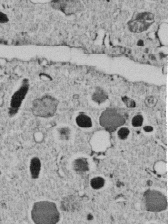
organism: C. elegans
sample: C. elegans embryo early stage